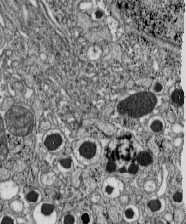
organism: C57BL Mouse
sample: Pancreatic islet